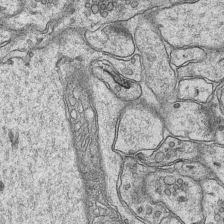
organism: Mouse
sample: CA1 Hippocampus